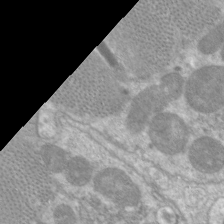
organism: C. elegans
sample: Pharynx